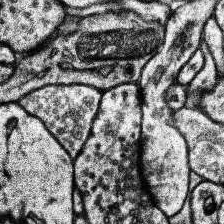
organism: Human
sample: Temporal Lobe